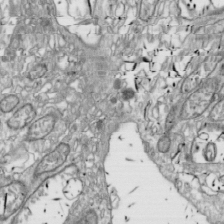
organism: Drosophila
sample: Cell division; meiosis; drosophila spermatocytes